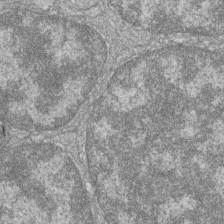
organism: Zebrafish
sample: Cilia; retinal pigment epithelium